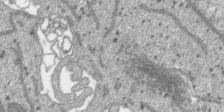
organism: Human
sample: Lung epithelial cells infected with SARS-CoV-2